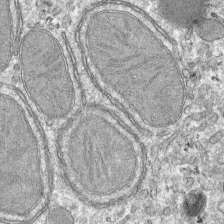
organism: Mouse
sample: Mouse hepatocytes